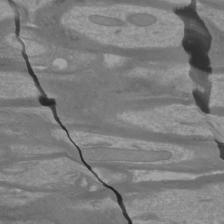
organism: Mouse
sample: Cortical neurons